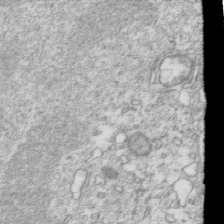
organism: Mouse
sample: Activated OT-1 CD8+ T cells